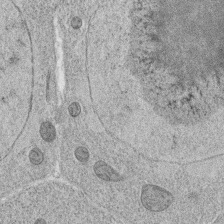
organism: C. elegans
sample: C. elegans oocyte; sperm cells